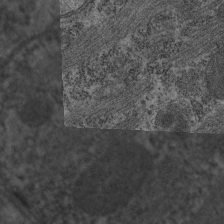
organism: C. elegans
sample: Pharynx